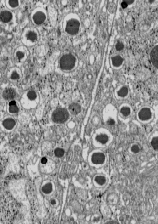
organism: C57BL Mouse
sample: Pancreatic islet